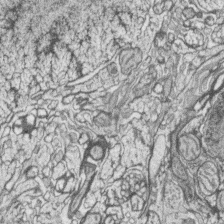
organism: Zebrafish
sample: synaptic ribbons in rod cells and cone cells